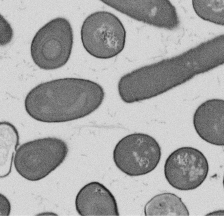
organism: B. subtilis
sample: Bacterial spore